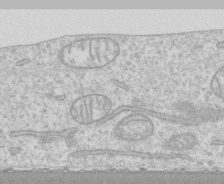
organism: Human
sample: CRL-1474